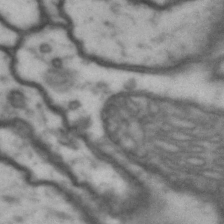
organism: Drosophila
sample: Brain